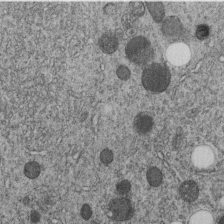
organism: C. elegans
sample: C. elegans embryo early stage